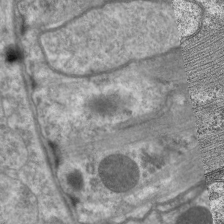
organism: C. elegans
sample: Pharynx